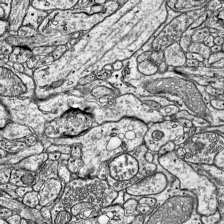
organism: Mouse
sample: Visual Cortex